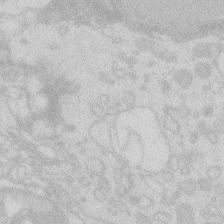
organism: Zebrafish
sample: Macrophage